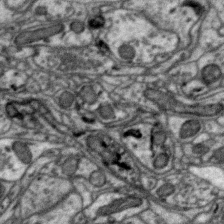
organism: Zebra finch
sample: Brain